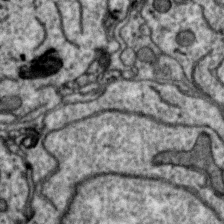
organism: Zebra finch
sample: Brain